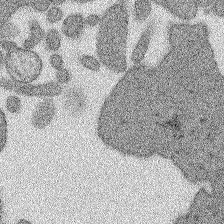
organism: Human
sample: HeLa cells